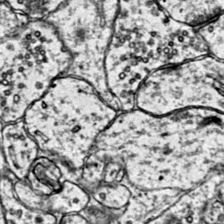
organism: Mouse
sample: Primary visual cortex